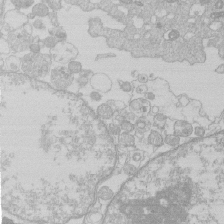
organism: Human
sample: Macrophage cells